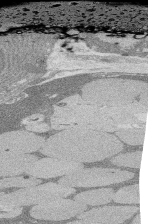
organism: Rat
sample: Salivary granule